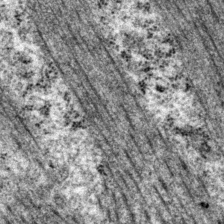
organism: P. pacificus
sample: Pharynx